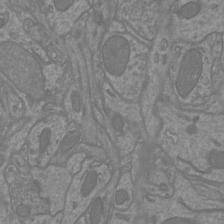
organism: Mouse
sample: Cortical neurons